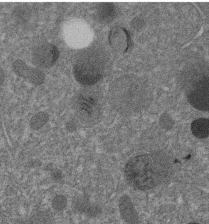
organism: C. elegans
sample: C. elegans embryo early stage